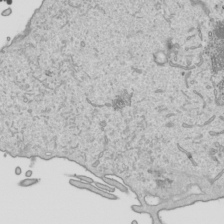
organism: Human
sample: Mitochondria in HCT116 cells